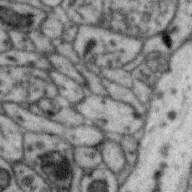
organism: Zebra finch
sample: Brain